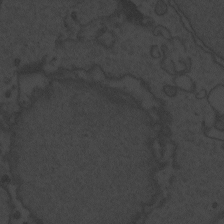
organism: Zebrafish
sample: Macrophage infected with Toxoplasma gondii